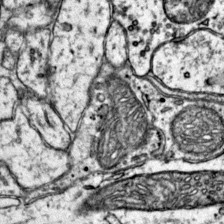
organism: Mouse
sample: Primary visual cortex